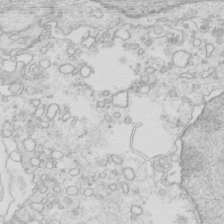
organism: Mouse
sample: Multiciliated cells